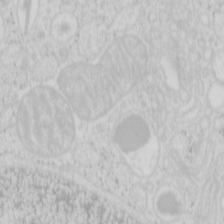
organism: Mouse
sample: Pancreas